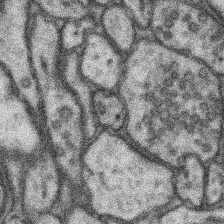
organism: Mouse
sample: Somatosensory cortex neuropil